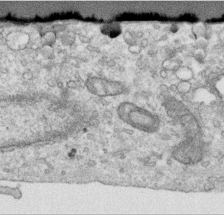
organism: Human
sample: Centriole in RPE cells